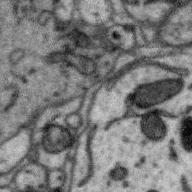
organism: Zebra finch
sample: Brain